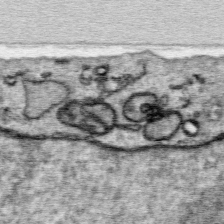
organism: Human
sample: HeLa cells